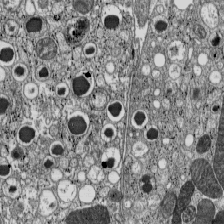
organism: C57BL Mouse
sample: Pancreatic islet